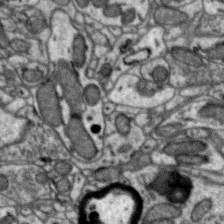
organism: Zebra finch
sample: Brain